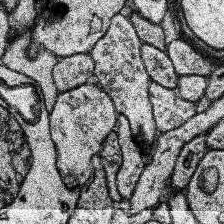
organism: Human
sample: Temporal Lobe